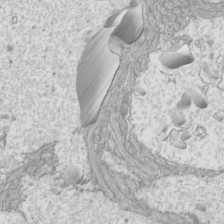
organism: Mouse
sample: Cilia; mouse epididymis